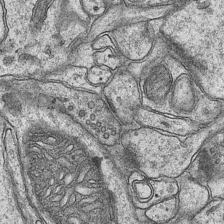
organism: Mouse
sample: CA1 Hippocampus